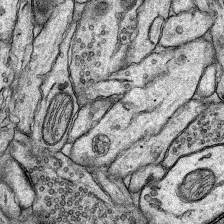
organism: Rat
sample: Hippocampus